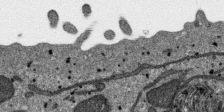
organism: Human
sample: Lung epithelial cells, uninfected (mock) control